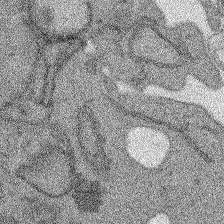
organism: Human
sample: HeLa cells